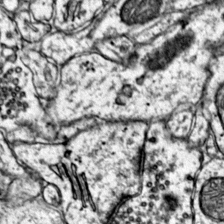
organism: Mouse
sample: Primary visual cortex